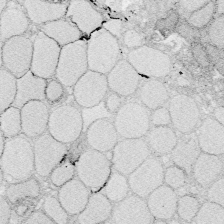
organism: Zebrafish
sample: Whole-Brain